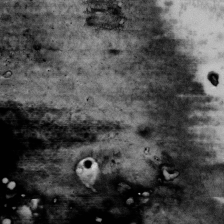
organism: Human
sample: U2-OS cells